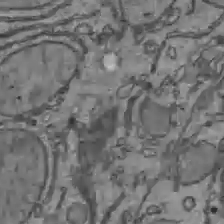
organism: C57BL Mouse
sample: Liver